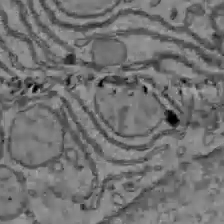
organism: C57BL Mouse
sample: Liver